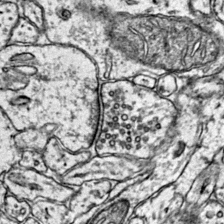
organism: Mouse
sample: Primary visual cortex